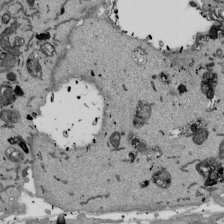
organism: Mouse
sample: ED-1 cell nuclei; centrioles